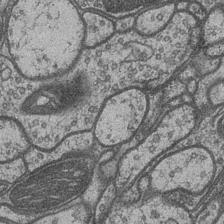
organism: Drosophila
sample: Optic medulla